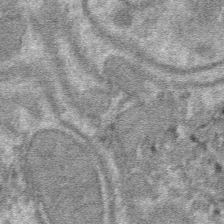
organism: Mouse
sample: Mouse hepatocytes